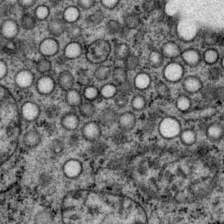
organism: P. pacificus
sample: Pharynx